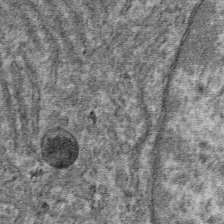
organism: Mouse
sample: Mouse hepatocytes